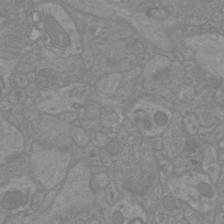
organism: Mouse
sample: Cortical neurons